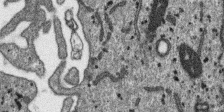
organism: Human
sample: Lung epithelial cells infected with SARS-CoV-2